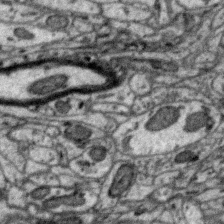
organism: Zebra finch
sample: Brain